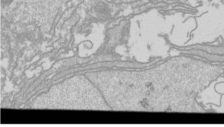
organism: Drosophila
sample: Cell division; meiosis; drosophila spermatocytes